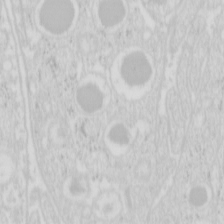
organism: Mouse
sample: Pancreas